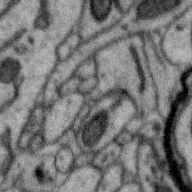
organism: Zebra finch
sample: Brain